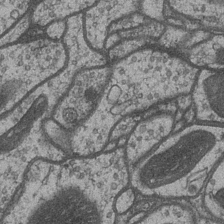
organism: Drosophila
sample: Optic medulla